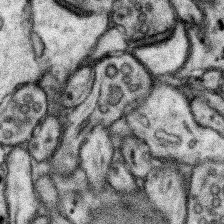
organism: Mouse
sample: Somatosensory cortex neuropil